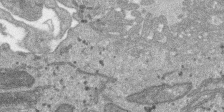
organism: Human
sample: Lung epithelial cells infected with SARS-CoV-2